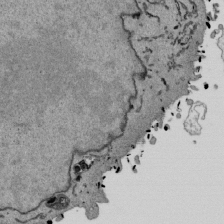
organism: Mouse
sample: ED-1 cell nuclei; centrioles